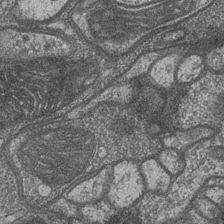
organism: Drosophila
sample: Optic medulla